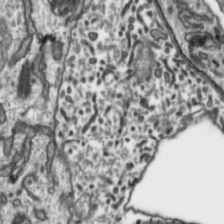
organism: Toxoplasma gondii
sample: Parasites in a vacuole inside a host cell